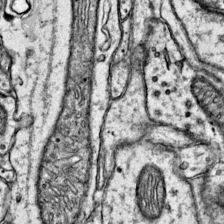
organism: Mouse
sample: Primary visual cortex